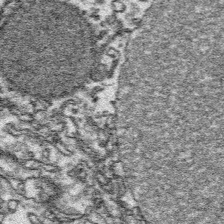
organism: Platynereis dumerilii